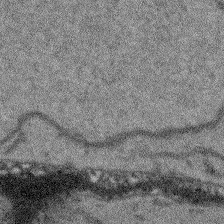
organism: Arabidopsis thaliana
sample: Root tip